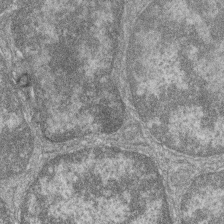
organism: Zebrafish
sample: Cilia; retinal pigment epithelium